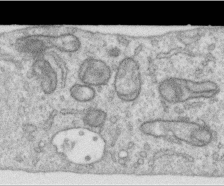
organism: Human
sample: Centriole in RPE cells